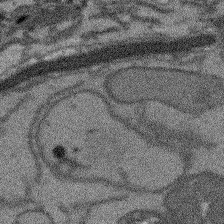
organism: Arabidopsis thaliana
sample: Root tip